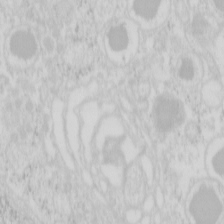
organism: Mouse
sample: Pancreas